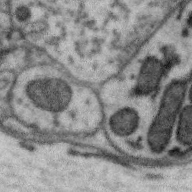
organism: Zebra finch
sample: Brain